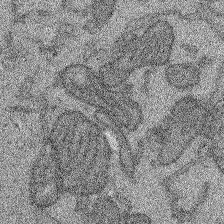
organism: Human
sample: HeLa cells